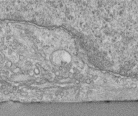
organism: Human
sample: Centriole in RPE cells